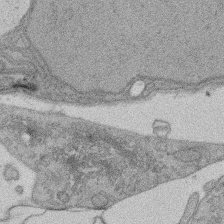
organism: Rat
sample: Salivary granule